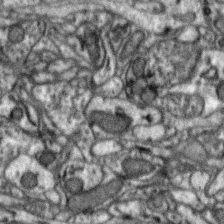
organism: Zebra finch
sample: Brain